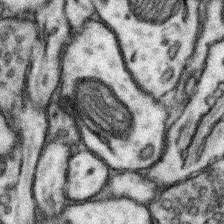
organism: Mouse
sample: Somatosensory cortex neuropil